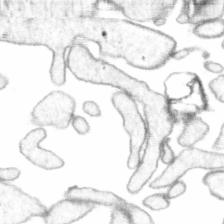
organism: Human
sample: HeLa cells